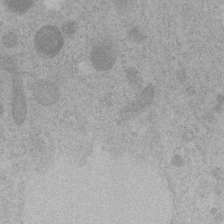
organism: C. elegans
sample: C. elegans embryo early stage